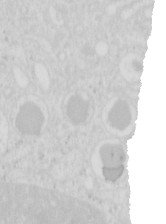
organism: Mouse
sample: Pancreas